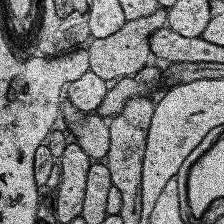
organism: Human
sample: Temporal Lobe